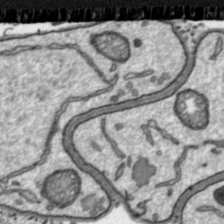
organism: Toxoplasma gondii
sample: Parasites in a vacuole inside a host cell